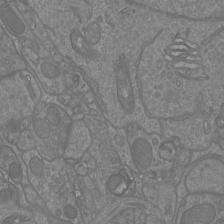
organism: Mouse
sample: Cortical neurons